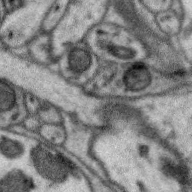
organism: Zebra finch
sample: Brain